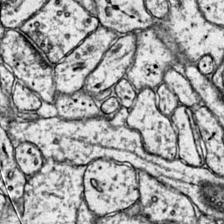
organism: Mouse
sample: Primary visual cortex